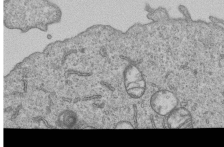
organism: Human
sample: MDA-MB-231 cells